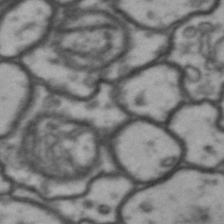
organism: Drosophila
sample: Brain